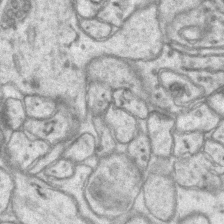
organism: Mouse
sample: CA1 Hippocampus